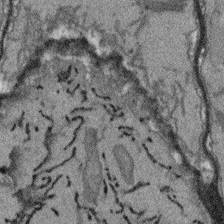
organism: Arabidopsis thaliana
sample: Root tip